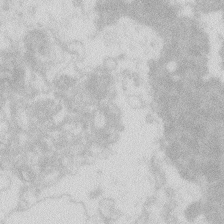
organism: Zebrafish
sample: Macrophage